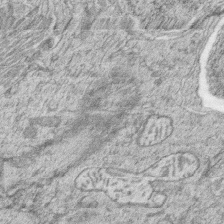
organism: Zebrafish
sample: synaptic ribbons in rod cells and cone cells